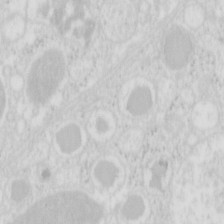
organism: Mouse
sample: Pancreas